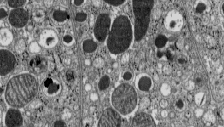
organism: C57BL Mouse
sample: Pancreatic islet